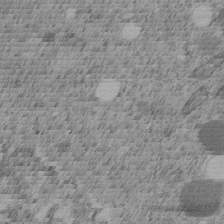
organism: C. elegans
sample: C. elegans embryo early stage